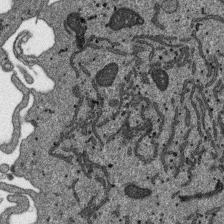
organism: Human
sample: Lung epithelial cells infected with SARS-CoV-2